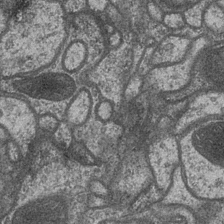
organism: Drosophila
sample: Optic medulla